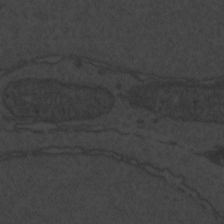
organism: Zebrafish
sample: Macrophage infected with Toxoplasma gondii